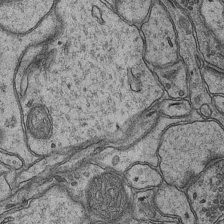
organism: Mouse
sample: CA1 Hippocampus